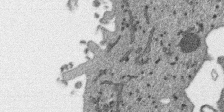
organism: Human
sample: Lung epithelial cells infected with SARS-CoV-2